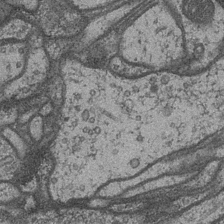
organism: Drosophila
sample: Optic medulla